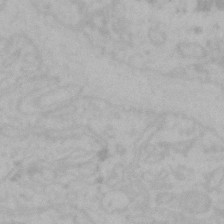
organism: Mouse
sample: Choroid plexus